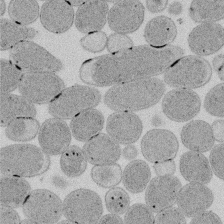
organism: E. coli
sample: Bacterial nucleoid